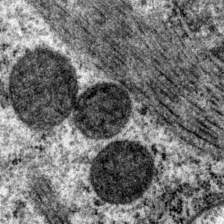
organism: P. pacificus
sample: Pharynx